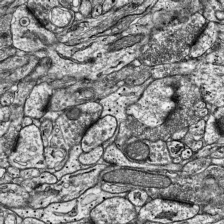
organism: Mouse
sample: Visual Cortex